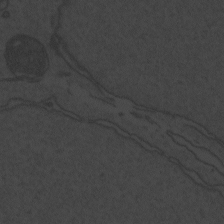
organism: Zebrafish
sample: Macrophage infected with Toxoplasma gondii